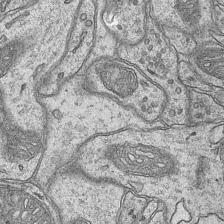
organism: Mouse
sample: CA1 Hippocampus